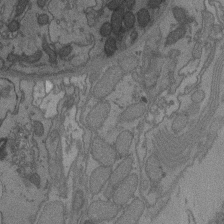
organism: C. elegans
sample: AFD neurons C. elegans